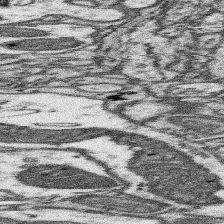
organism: Mouse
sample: Somatosensory cortex neuropil